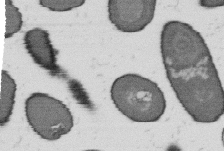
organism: B. subtilis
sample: Bacterial spore